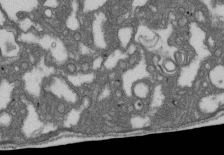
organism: Drosophila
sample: Nephrocyte